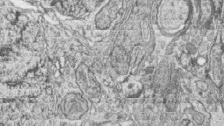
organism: Zebrafish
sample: synaptic ribbons in rod cells and cone cells